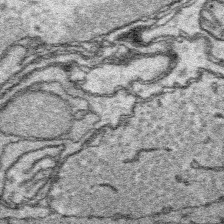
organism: Platynereis dumerilii